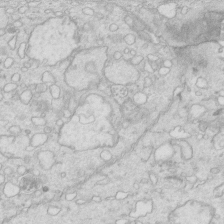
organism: Mouse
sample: Multiciliated cells